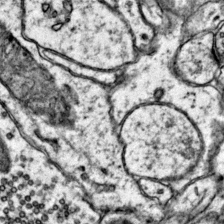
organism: Mouse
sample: Primary visual cortex